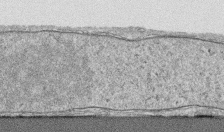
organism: Human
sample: CRL-1474